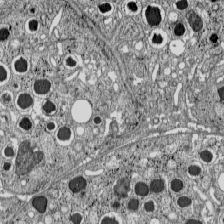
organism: C57BL Mouse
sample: Pancreatic islet